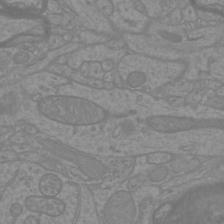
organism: Mouse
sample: Cortical neurons